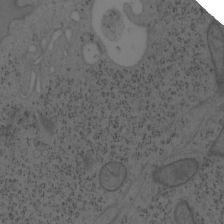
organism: Mouse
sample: OT-I killer T cells with ID8 ovarian cancer cells